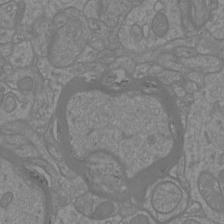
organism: Mouse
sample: Cortical neurons